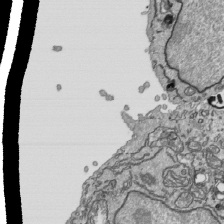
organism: Human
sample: Mitochondria in HCT116 cells